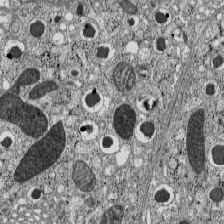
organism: C57BL Mouse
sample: Pancreatic islet